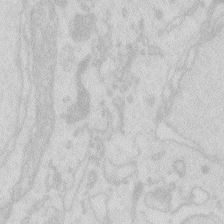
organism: Zebrafish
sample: Macrophage